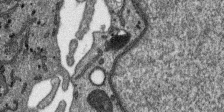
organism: Human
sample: Lung epithelial cells infected with SARS-CoV-2